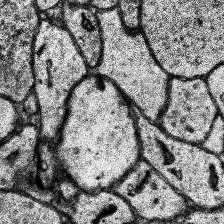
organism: Human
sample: Temporal Lobe